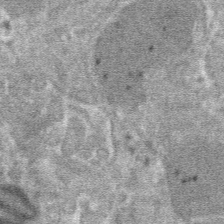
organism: Mouse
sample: Mouse hepatocytes